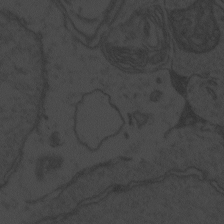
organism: Zebrafish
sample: Macrophage infected with Toxoplasma gondii